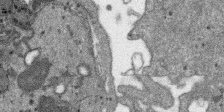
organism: Human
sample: Lung epithelial cells infected with SARS-CoV-2